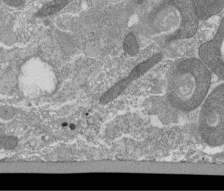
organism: Tetrahymena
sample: Cilia in tetrahymena